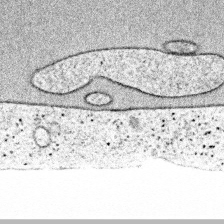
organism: Human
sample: HeLa cells